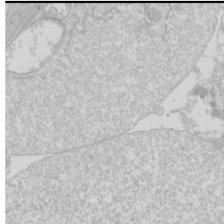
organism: Drosophila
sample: Cell division; meiosis; drosophila spermatocytes